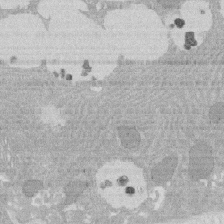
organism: Rat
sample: Salivary granule